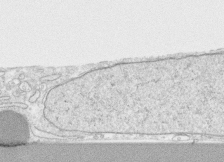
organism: Human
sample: CRL-1474